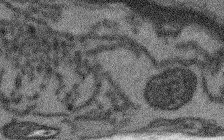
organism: Arabidopsis thaliana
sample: Root tip